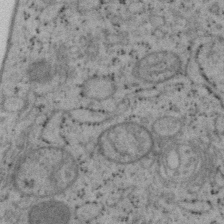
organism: Human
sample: HeLa cells